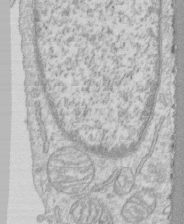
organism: Human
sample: CRL-1474